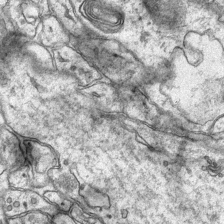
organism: Mouse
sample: CA1 Hippocampus